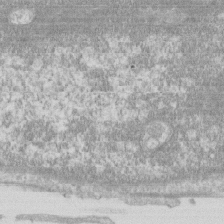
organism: Human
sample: CRL-1474